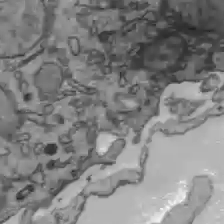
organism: C57BL Mouse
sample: Liver